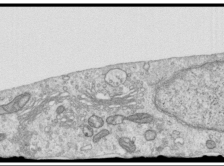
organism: Human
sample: Centriole in RPE cells